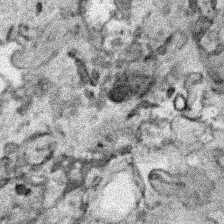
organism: Human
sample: Mitochondria in HCT116 cells